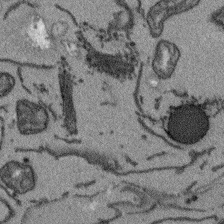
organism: Arabidopsis thaliana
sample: Root tip